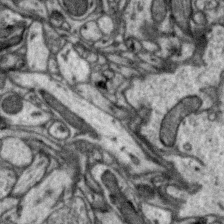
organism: Zebra finch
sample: Brain